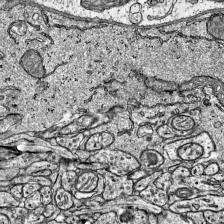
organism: Mouse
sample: Visual Cortex